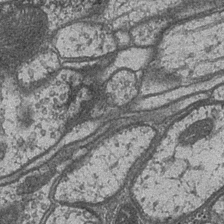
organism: Drosophila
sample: Optic medulla